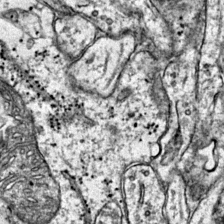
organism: Mouse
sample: Primary visual cortex